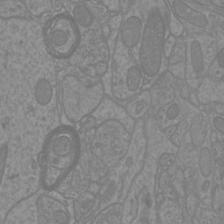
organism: Mouse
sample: Cortical neurons